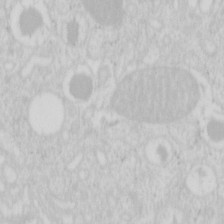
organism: Mouse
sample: Pancreas